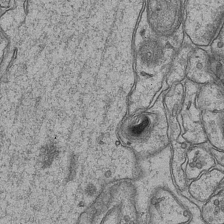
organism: Mouse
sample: CA1 Hippocampus